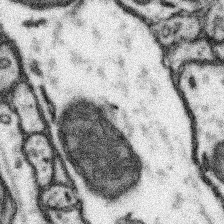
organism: Mouse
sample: Somatosensory cortex neuropil